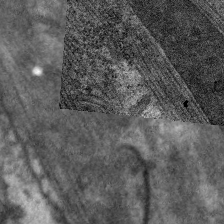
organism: C. elegans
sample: Pharynx